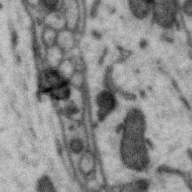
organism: Zebra finch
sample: Brain